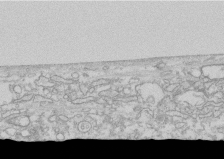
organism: Human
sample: CRL-1474